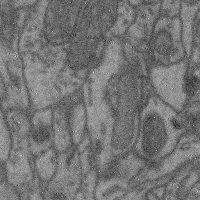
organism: Mouse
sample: Cerebral cortex